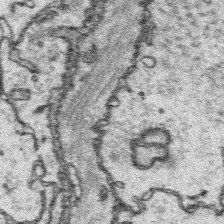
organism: Platynereis dumerilii